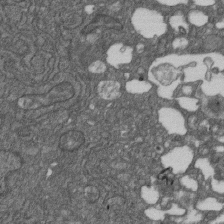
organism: Drosophila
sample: Nephrocyte